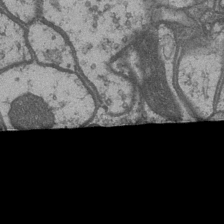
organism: Drosophila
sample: Optic medulla